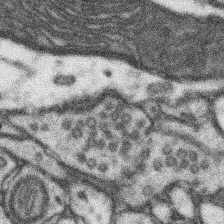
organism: Mouse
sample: Somatosensory cortex neuropil